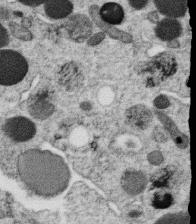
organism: C. elegans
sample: C. elegans oocyte; sperm cells